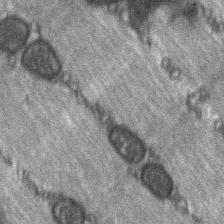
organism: C57BL Mouse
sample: Soleus